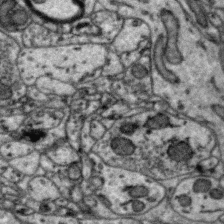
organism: Zebra finch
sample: Brain